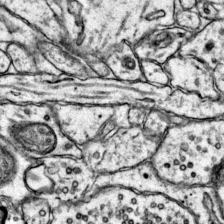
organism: Mouse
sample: Primary visual cortex